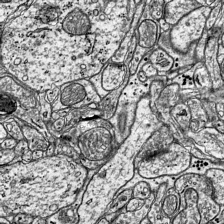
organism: Mouse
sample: Visual Cortex